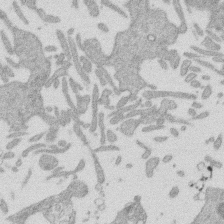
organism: Mouse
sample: Dividing mouse embryo 1 cell stage